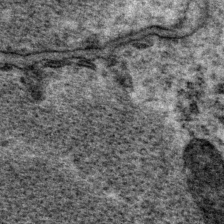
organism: P. pacificus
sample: Pharynx